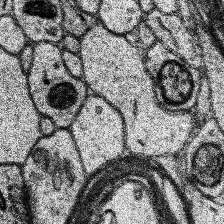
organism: Human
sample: Temporal Lobe